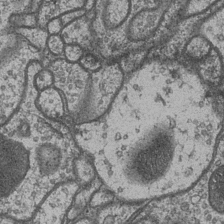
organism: Drosophila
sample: Optic medulla